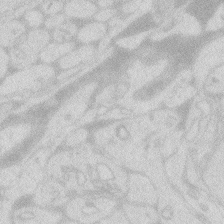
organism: Zebrafish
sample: Macrophage